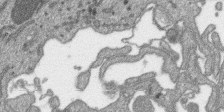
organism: Human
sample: Lung epithelial cells infected with SARS-CoV-2